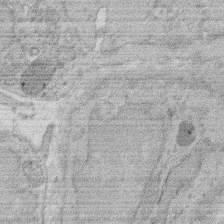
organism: Rat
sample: Salivary granule